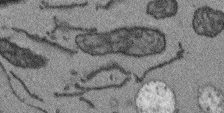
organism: Arabidopsis thaliana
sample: Root tip